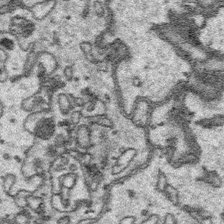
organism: Platynereis dumerilii